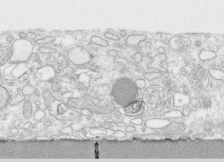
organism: Human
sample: CRL-1474